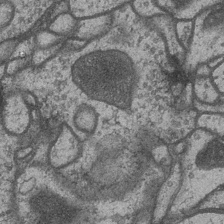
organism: Drosophila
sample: Optic medulla